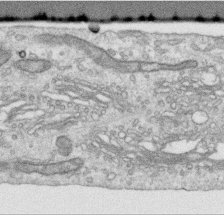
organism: Human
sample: Centriole in RPE cells